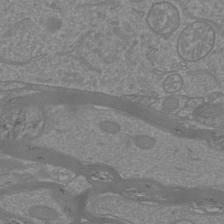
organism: Mouse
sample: Cortical neurons